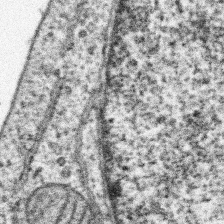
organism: Human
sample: HeLa cells